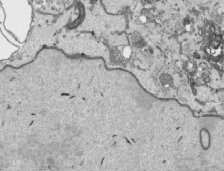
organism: Human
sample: Mitochondria in HCT116 cells